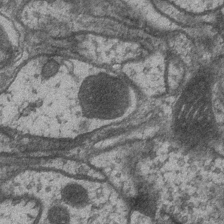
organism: Drosophila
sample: Optic medulla